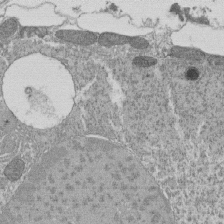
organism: Tetrahymena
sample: Cilia in tetrahymena